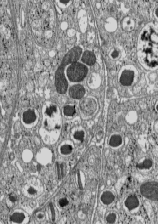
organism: C57BL Mouse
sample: Pancreatic islet